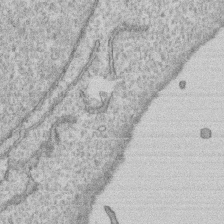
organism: Human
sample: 1205lu cells